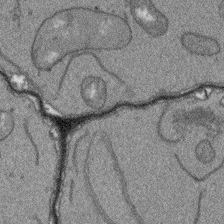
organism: Arabidopsis thaliana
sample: Root tip